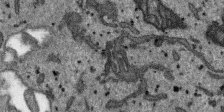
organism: Human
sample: Lung epithelial cells, uninfected (mock) control